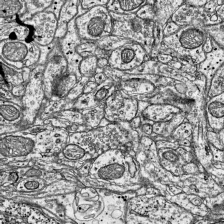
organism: Mouse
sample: Visual Cortex